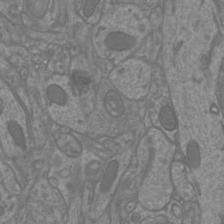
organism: Mouse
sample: Cortical neurons